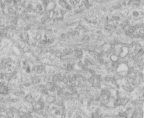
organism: Human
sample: Centriole in fibroblast cells